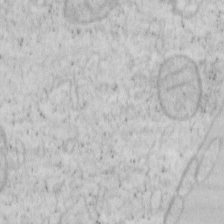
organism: Human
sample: HeLa cells